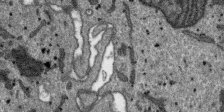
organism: Human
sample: Lung epithelial cells, uninfected (mock) control